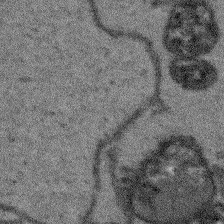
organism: Arabidopsis thaliana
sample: Root tip